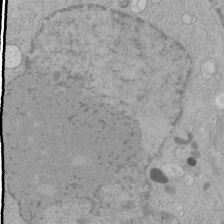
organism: Human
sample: Mitochondria in HCT116 cells